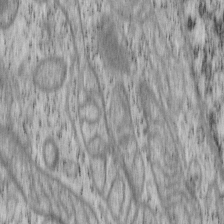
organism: Human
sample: HeLa cells